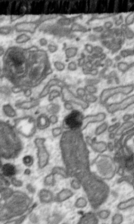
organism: Toxoplasma gondii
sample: Parasites in a vacuole inside a host cell